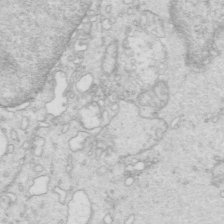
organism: Mouse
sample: Multiciliated cells